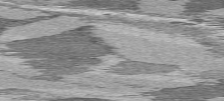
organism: C57BL Mouse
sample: Heart